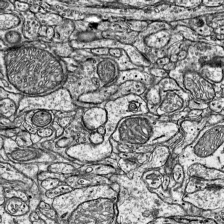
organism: Mouse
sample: Visual Cortex